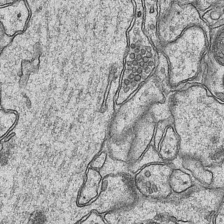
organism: Mouse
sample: CA1 Hippocampus